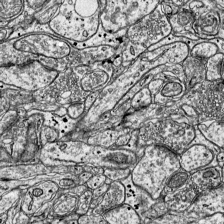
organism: Mouse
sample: Visual Cortex